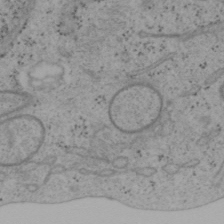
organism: Human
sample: HeLa cells